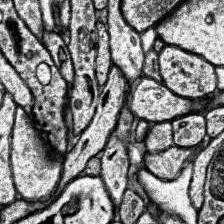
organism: Human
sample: Temporal Lobe